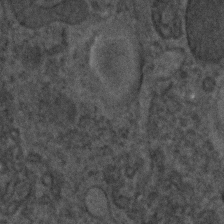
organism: C. elegans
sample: C. elegans embryo